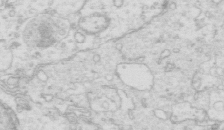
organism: Mouse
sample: Multiciliated cells